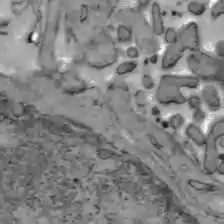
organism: C57BL Mouse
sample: Liver